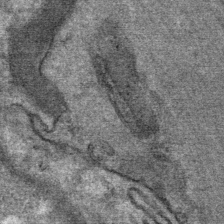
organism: Mouse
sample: Mouse Salivary gland